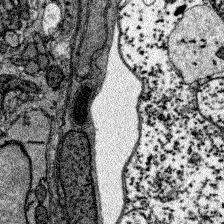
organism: Zebrafish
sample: Larval olfactory bulb